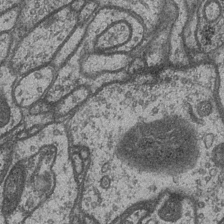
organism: Drosophila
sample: Optic medulla